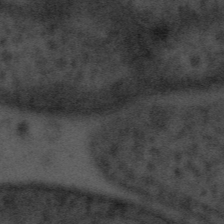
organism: Tuwongella immobilis